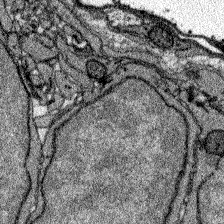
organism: Zebrafish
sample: Larval olfactory bulb